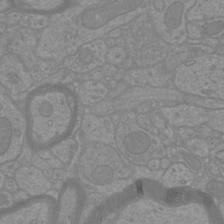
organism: Mouse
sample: Cortical neurons